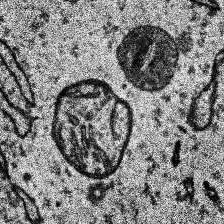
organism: Human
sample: Temporal Lobe